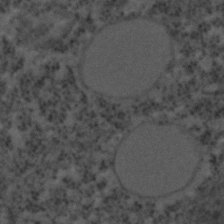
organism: C. elegans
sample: C. elegans embryo